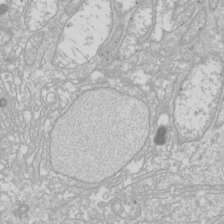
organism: Drosophila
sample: Cell division; meiosis; drosophila spermatocytes